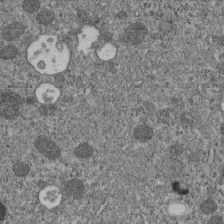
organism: C. elegans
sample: C. elegans embryo early stage